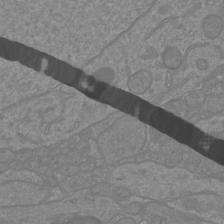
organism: Mouse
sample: Cortical neurons